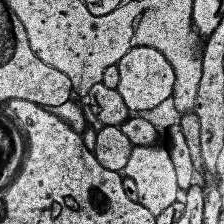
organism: Human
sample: Temporal Lobe